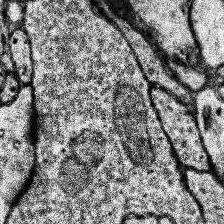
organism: Human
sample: Temporal Lobe